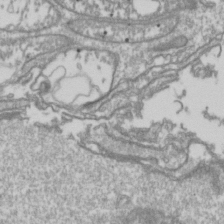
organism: Drosophila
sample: Cell division; meiosis; drosophila spermatocytes